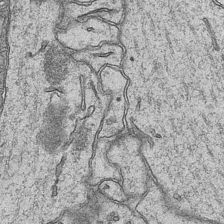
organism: Mouse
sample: CA1 Hippocampus